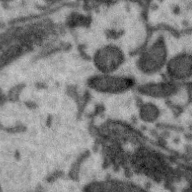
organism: Zebra finch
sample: Brain